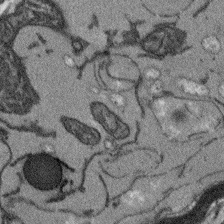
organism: Arabidopsis thaliana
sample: Root tip